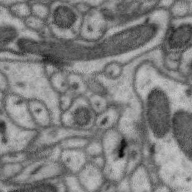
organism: Zebra finch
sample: Brain